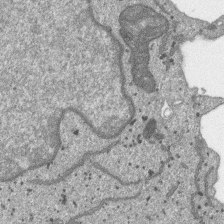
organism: Human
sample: Lung epithelial cells infected with SARS-CoV-2